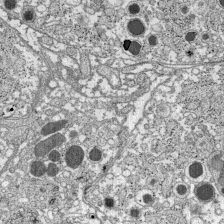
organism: C57BL Mouse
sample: Pancreatic islet